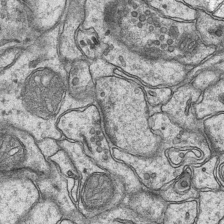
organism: Mouse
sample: CA1 Hippocampus